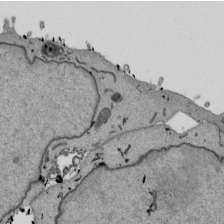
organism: Mouse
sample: ED-1 cell nuclei; centrioles